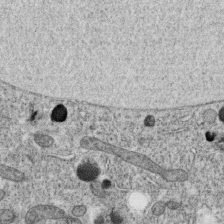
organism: C. elegans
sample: C. elegans oocyte; sperm cells